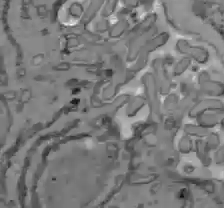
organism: C57BL Mouse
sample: Liver